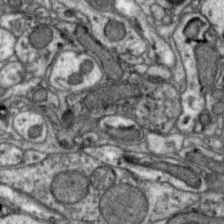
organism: Zebra finch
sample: Brain